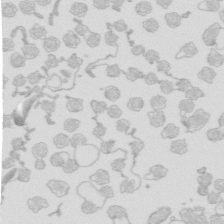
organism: Mouse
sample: Multiciliated cells